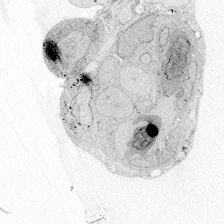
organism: Zebrafish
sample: Whole-Brain